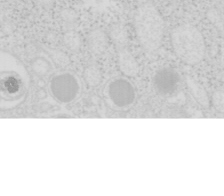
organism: Mouse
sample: Pancreas